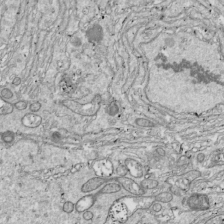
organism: Drosophila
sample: Cell division; meiosis; drosophila spermatocytes